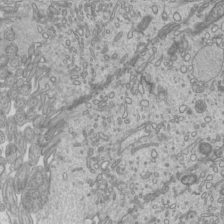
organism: Mouse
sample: Cilia; mouse epididymis